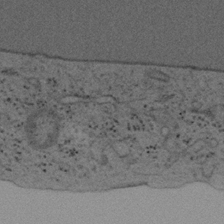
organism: Human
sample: HeLa cells